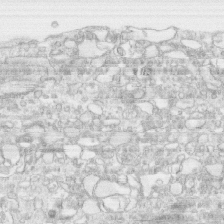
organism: Human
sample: CRL-1474